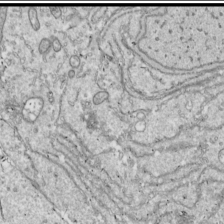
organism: Drosophila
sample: Cell division; meiosis; drosophila spermatocytes